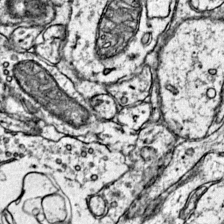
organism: Mouse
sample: Primary visual cortex